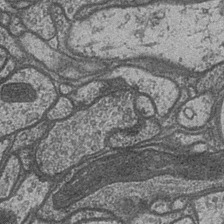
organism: Drosophila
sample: Optic medulla